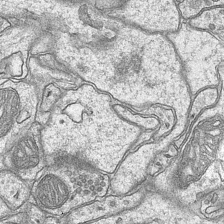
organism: Mouse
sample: CA1 Hippocampus